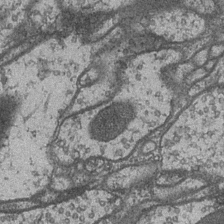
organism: Drosophila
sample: Optic medulla